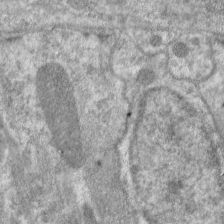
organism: C. elegans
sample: Pharynx